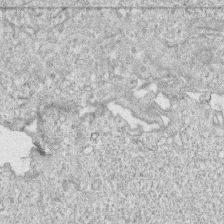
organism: Human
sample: HeLa cell HIV synapse